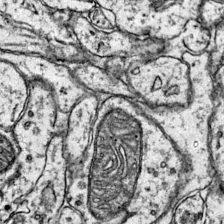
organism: Mouse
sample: Primary visual cortex